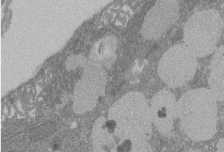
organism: Rat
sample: Salivary granule